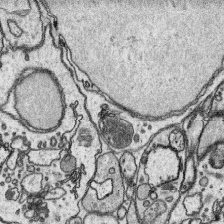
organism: Platynereis dumerilii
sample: Parapodia